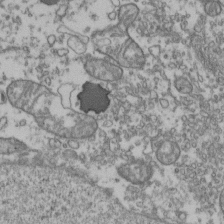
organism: Human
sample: Activated Jurkat CD4+ T cells